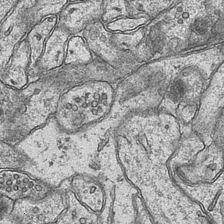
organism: Mouse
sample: CA1 Hippocampus